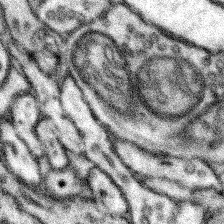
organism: Mouse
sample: Somatosensory cortex neuropil